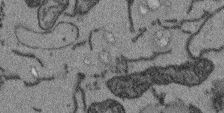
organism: Arabidopsis thaliana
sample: Root tip